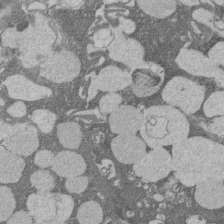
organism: Rat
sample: Salivary granule